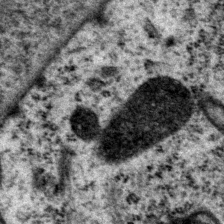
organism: P. pacificus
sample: Pharynx